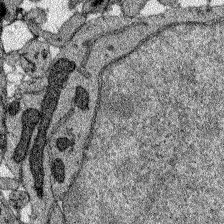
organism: Zebrafish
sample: Larval olfactory bulb